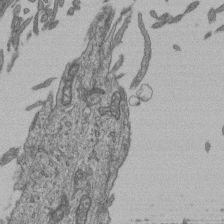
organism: Human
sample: Retinal organoid Rod and Cone cells